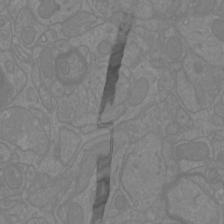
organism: Mouse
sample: Cortical neurons